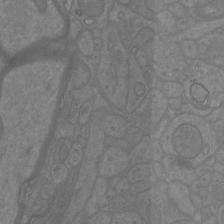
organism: Mouse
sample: Cortical neurons